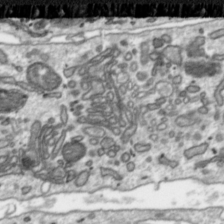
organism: Toxoplasma gondii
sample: Parasites in a vacuole inside a host cell